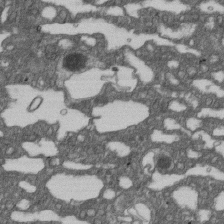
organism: Drosophila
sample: Nephrocyte